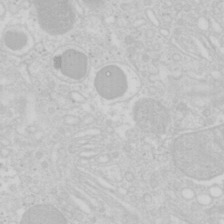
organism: Mouse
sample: Pancreas